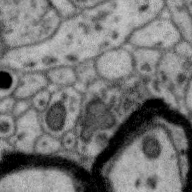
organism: Zebra finch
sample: Brain